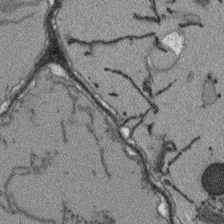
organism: Arabidopsis thaliana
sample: Root tip